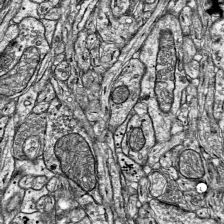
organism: Mouse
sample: Visual Cortex